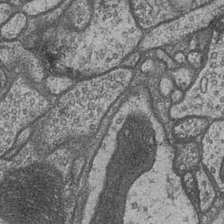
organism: Drosophila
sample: Optic medulla